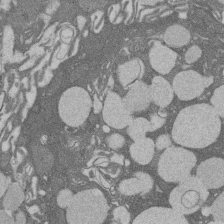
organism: Rat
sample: Salivary granule